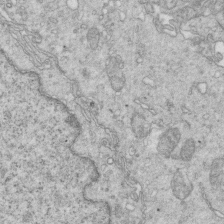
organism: Mouse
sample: Multiciliated cells